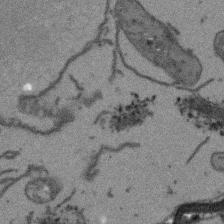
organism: Arabidopsis thaliana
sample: Root tip